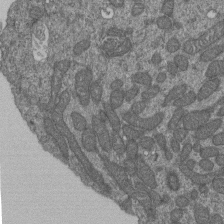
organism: Human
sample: Retinal organoid Rod and Cone cells